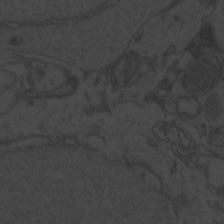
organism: Zebrafish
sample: Macrophage infected with Toxoplasma gondii